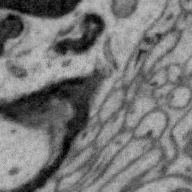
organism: Zebra finch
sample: Brain